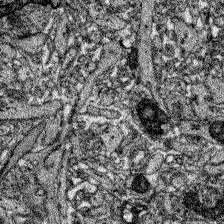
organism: Zebrafish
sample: Larval olfactory bulb